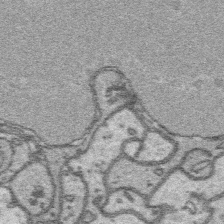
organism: Platynereis dumerilii